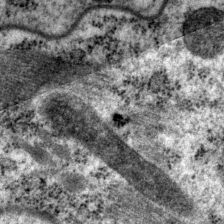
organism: P. pacificus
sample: Pharynx